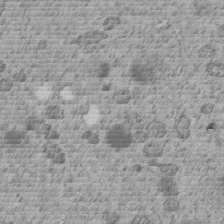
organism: C. elegans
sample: C. elegans embryo early stage